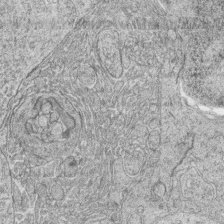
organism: Zebrafish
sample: synaptic ribbons in rod cells and cone cells